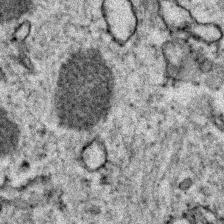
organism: Zebrafish